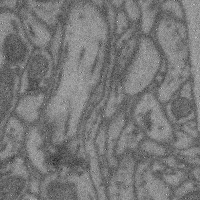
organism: Mouse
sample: Cerebral cortex